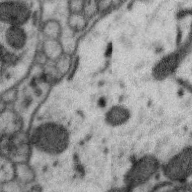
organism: Zebra finch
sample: Brain